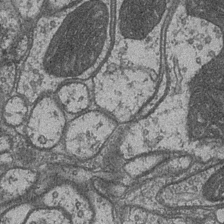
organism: Drosophila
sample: Optic medulla